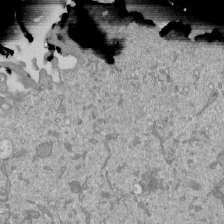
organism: Mouse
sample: ED-1 cell nuclei; centrioles